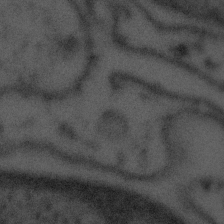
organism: Tuwongella immobilis